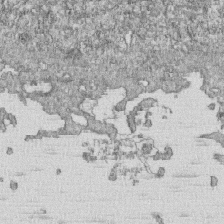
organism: Human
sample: HeLa cell HIV synapse